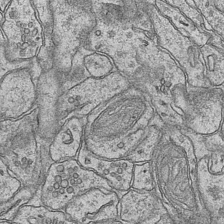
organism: Mouse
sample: CA1 Hippocampus